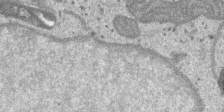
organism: Human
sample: Lung epithelial cells infected with SARS-CoV-2